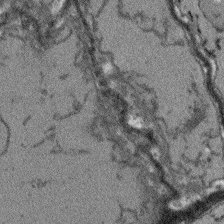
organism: Arabidopsis thaliana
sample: Root tip